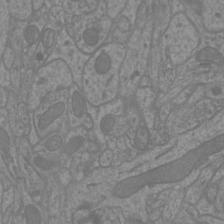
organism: Mouse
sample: Cortical neurons